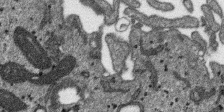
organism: Human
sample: Lung epithelial cells infected with SARS-CoV-2